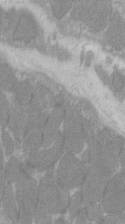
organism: C57BL Mouse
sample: Tibialis anterior muscle cell